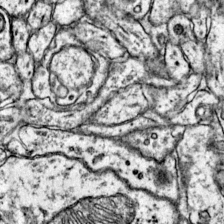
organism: Mouse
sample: Primary visual cortex